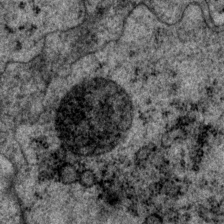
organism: P. pacificus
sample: Pharynx